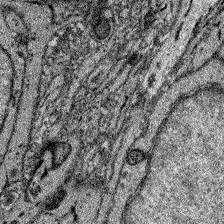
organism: Zebrafish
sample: Larval olfactory bulb